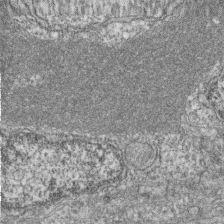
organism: Zebrafish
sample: Cilia; retinal pigment epithelium